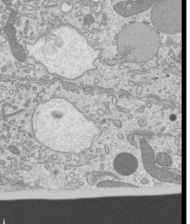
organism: Mouse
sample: Cilia; mouse epididymis